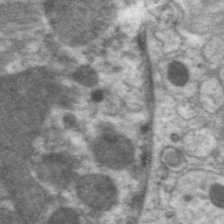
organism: C. elegans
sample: Pharynx